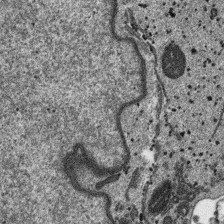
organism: Human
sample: Lung epithelial cells infected with SARS-CoV-2